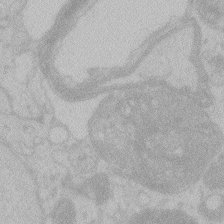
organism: Zebrafish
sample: Macrophage infected with Toxoplasma gondii